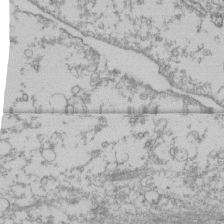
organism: Human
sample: Fibroblast cells